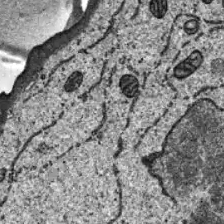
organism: Human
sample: HeLa cells